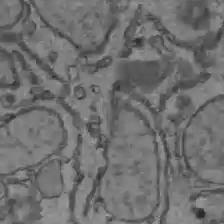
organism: C57BL Mouse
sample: Liver